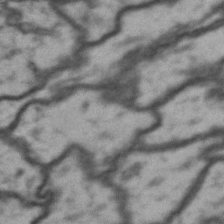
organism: Drosophila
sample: Brain